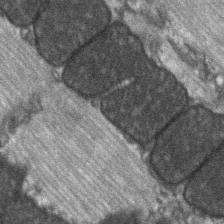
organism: C57BL Mouse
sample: Soleus